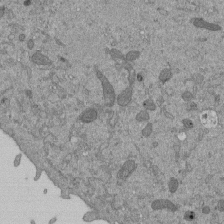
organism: Mouse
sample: ED-1 cell nuclei; centrioles